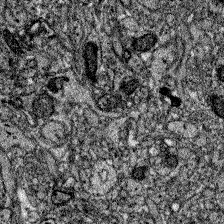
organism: Zebrafish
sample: Larval olfactory bulb